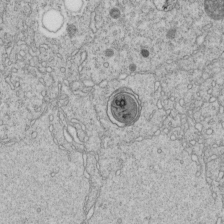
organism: C. elegans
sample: C. elegans embryo early stage